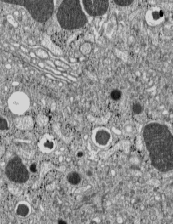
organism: C57BL Mouse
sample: Pancreatic islet